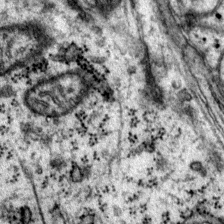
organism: Mouse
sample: Primary visual cortex